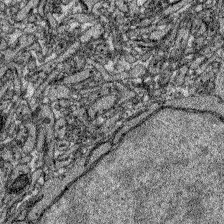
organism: Zebrafish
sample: Larval olfactory bulb